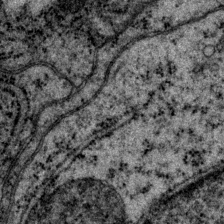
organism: P. pacificus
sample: Pharynx